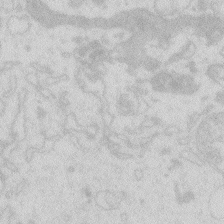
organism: Zebrafish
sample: Macrophage